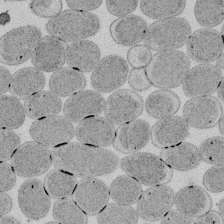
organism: E. coli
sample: Bacterial nucleoid